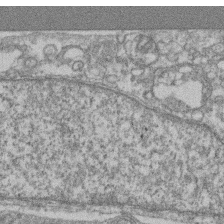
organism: Mouse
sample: T cell stromal cell synapse